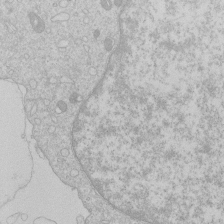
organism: Human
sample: Macrophage cells